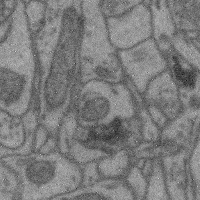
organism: Mouse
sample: Cerebral cortex